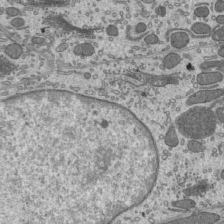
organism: Mouse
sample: Mouse epididymis efferent ductule cilia